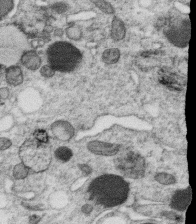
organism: C. elegans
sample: C. elegans oocyte; sperm cells